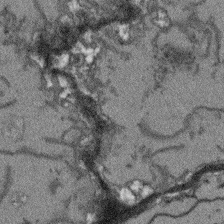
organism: Arabidopsis thaliana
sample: Root tip